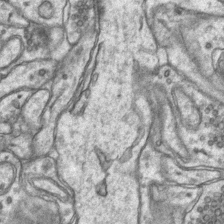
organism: Mouse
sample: CA1 Hippocampus